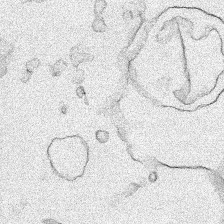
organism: Human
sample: Mitochondria in HCT116 cells